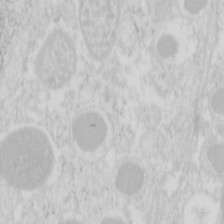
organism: Mouse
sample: Pancreas